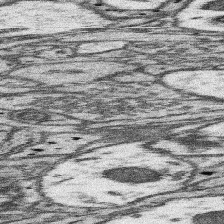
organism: Mouse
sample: Somatosensory cortex neuropil